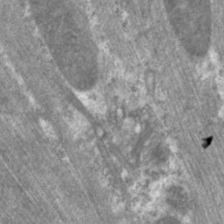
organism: C. elegans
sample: Pharynx